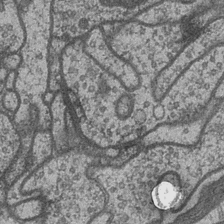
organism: Drosophila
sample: Optic medulla